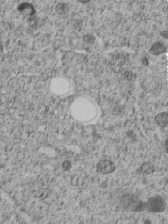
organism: C. elegans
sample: C. elegans embryo early stage